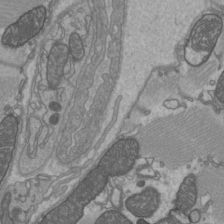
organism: C57BL Mouse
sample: Heart